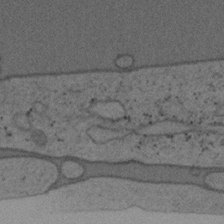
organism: Human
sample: HeLa cells